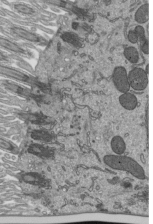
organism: Mouse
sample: Mouse epididymis efferent ductule cilia